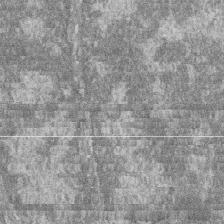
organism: Zebrafish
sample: Cilia; retinal pigment epithelium